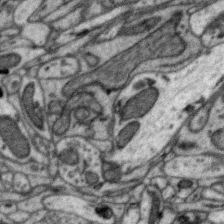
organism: Zebra finch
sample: Brain